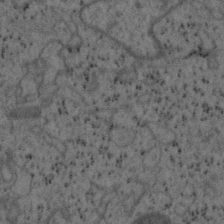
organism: Human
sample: HeLa cells